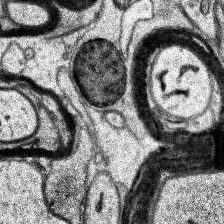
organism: Human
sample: Temporal Lobe